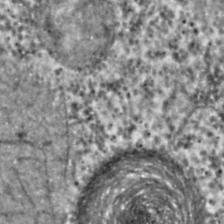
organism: C. elegans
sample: C. elegans embryo